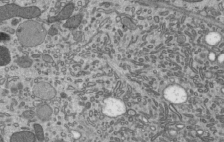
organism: Mouse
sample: Mouse epididymis efferent ductule cilia